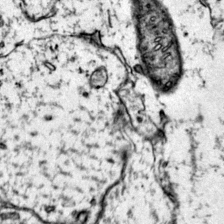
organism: Mouse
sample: Primary visual cortex